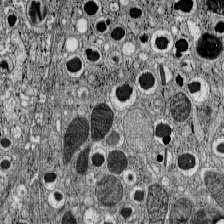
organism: C57BL Mouse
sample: Pancreatic islet